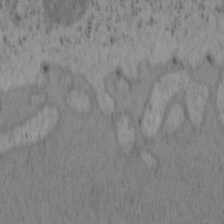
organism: Mouse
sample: OT-I killer T cells with ID8 ovarian cancer cells